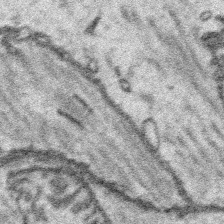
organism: Platynereis dumerilii